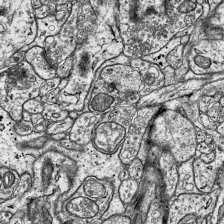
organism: Mouse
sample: Visual Cortex